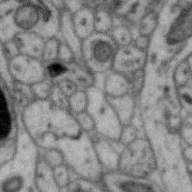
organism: Zebra finch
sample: Brain